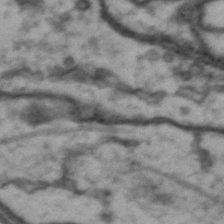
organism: Drosophila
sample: Brain